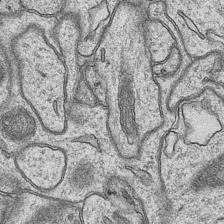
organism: Mouse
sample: CA1 Hippocampus